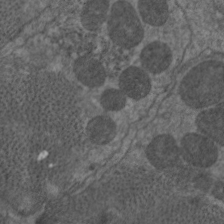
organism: C. elegans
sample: Pharynx